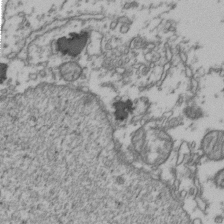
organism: Human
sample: Activated Jurkat CD4+ T cells